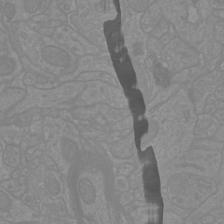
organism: Mouse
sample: Cortical neurons